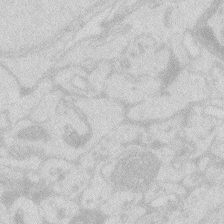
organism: Zebrafish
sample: Macrophage